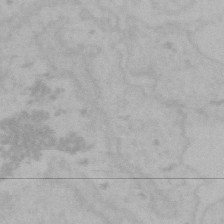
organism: Mouse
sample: Choroid plexus